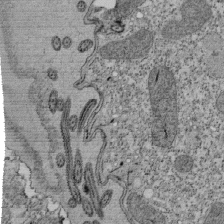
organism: Tetrahymena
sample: Cilia in tetrahymena